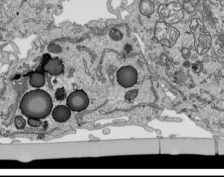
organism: Human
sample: Mitochondria in HCT116 cells